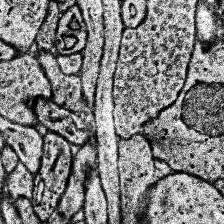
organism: Human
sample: Temporal Lobe